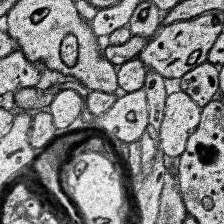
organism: Human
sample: Temporal Lobe